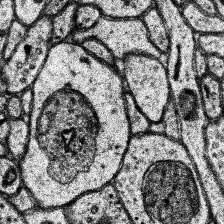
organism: Human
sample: Temporal Lobe